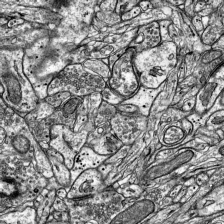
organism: Mouse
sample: Visual Cortex